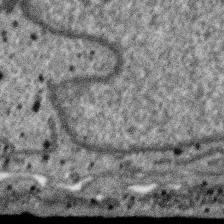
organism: Human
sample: Lung epithelial cells infected with SARS-CoV-2